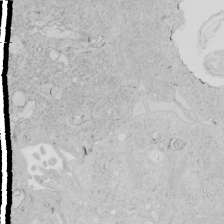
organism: Human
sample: Mitochondria in HCT116 cells